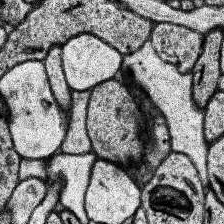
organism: Human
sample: Temporal Lobe